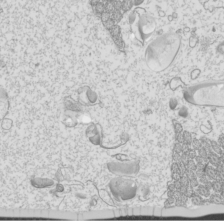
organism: Mouse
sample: Cilia; mouse epididymis